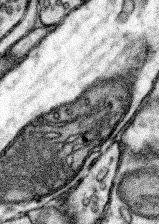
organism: Mouse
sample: Somatosensory cortex neuropil